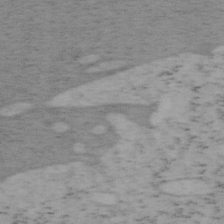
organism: Mouse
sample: OT-I killer T cells with ID8 ovarian cancer cells